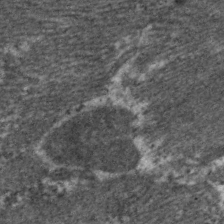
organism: C. elegans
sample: Pharynx